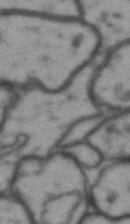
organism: Drosophila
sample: Brain